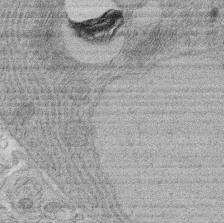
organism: Rat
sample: Salivary granule